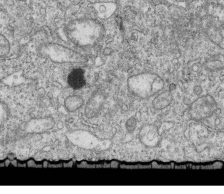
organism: Human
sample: HeLa cell HIV synapse